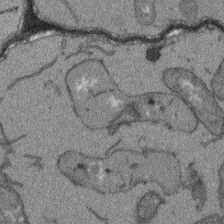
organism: Arabidopsis thaliana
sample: Root tip